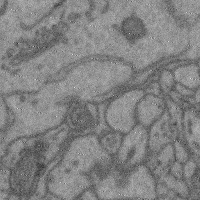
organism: Mouse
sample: Cerebral cortex